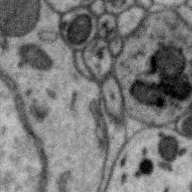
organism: Zebra finch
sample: Brain